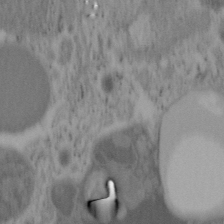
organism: Mouse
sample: OT-I killer T cells with ID8 ovarian cancer cells